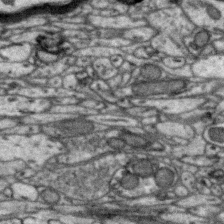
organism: Zebra finch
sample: Brain